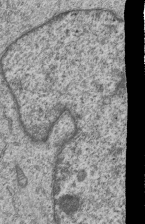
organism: Human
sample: MDA-MB-231 cells